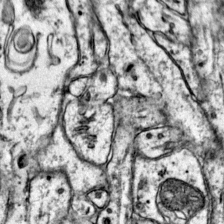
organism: Mouse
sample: Primary visual cortex